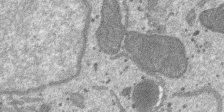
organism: Human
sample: Lung epithelial cells infected with SARS-CoV-2